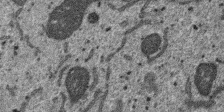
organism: Human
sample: Lung epithelial cells infected with SARS-CoV-2